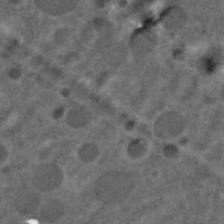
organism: C. elegans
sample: C. elegans embryo